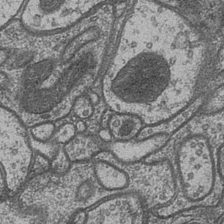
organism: Drosophila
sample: Optic medulla